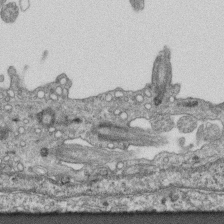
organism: Mouse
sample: Centriole in ependymal cells